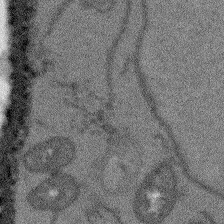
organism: Arabidopsis thaliana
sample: Root tip